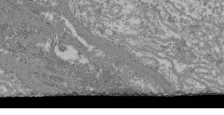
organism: Mouse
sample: Glomerulus